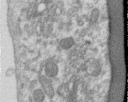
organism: Human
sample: Centriole in RPE cells